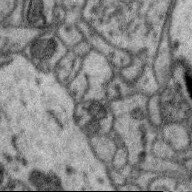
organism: Zebra finch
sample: Brain